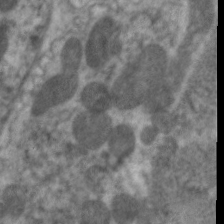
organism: C. elegans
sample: Pharynx